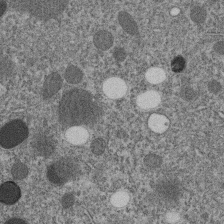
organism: C. elegans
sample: C. elegans embryo early stage